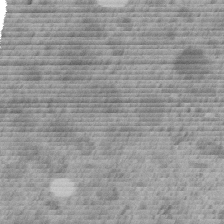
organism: C. elegans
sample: C. elegans embryo early stage